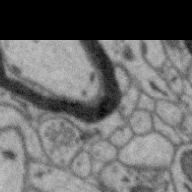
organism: Zebra finch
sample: Brain